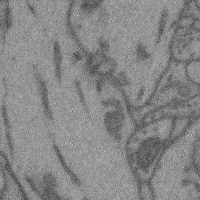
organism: Mouse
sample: Cerebral cortex